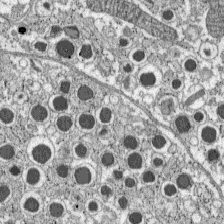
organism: C57BL Mouse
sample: Pancreatic islet